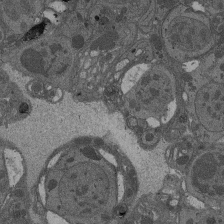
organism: Drosophila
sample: Antenna